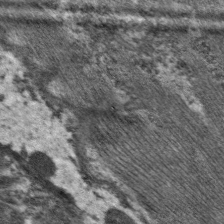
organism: C. elegans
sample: Pharynx